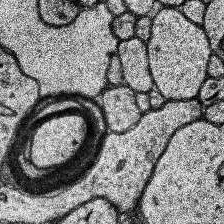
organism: Human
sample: Temporal Lobe